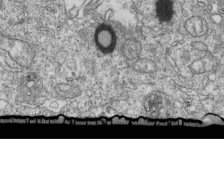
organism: Human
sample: HeLa cell HIV synapse